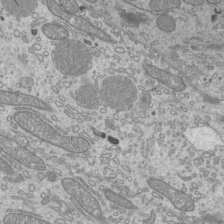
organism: Mouse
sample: Cilia; mouse epididymis